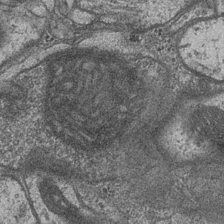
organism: Drosophila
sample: Optic medulla